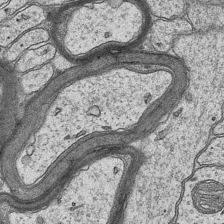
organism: Mouse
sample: CA1 Hippocampus